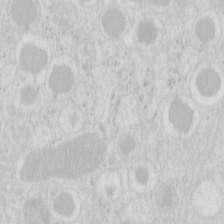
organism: Mouse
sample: Pancreas